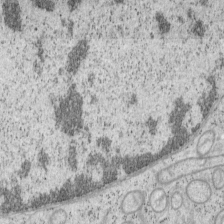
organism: Mouse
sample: OT-I killer T cells with ID8 ovarian cancer cells